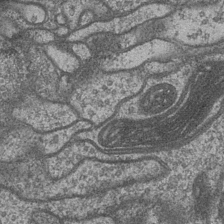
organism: Drosophila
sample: Optic medulla